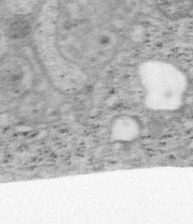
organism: Mouse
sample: OT-I killer T cells with ID8 ovarian cancer cells